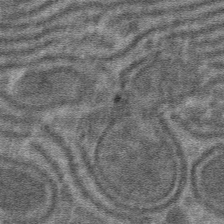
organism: Mouse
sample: Mouse hepatocytes